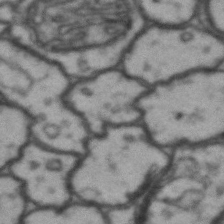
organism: Drosophila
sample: Brain